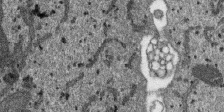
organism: Human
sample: Lung epithelial cells infected with SARS-CoV-2